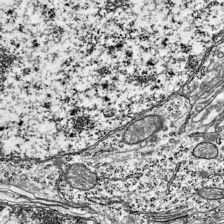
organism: Mouse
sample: Visual Cortex